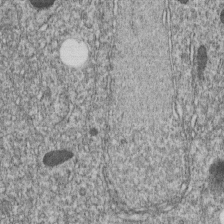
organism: C. elegans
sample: C. elegans embryo early stage